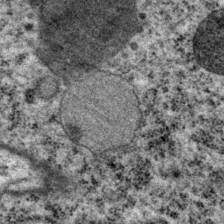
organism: P. pacificus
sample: Pharynx